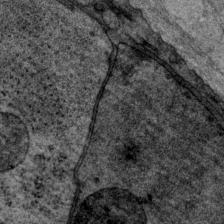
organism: P. pacificus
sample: Pharynx